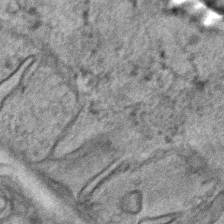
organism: C. elegans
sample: C. elegans embryo